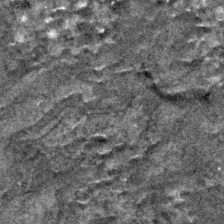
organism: C. elegans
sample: C. elegans embryo